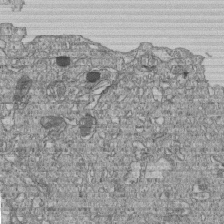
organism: Human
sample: MDA-MB-231 cells